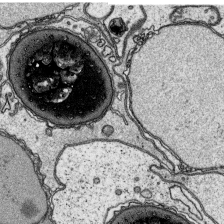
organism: Platynereis dumerilii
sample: Parapodia